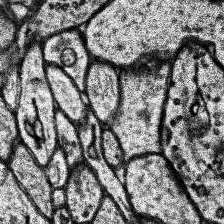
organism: Human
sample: Temporal Lobe